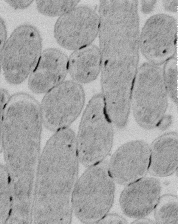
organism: E. coli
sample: Bacterial nucleoid